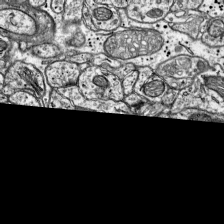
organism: Mouse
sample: Visual Cortex